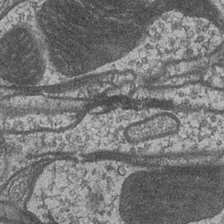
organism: Drosophila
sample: Optic medulla